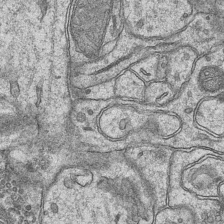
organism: Mouse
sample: CA1 Hippocampus